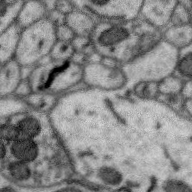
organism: Zebra finch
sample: Brain